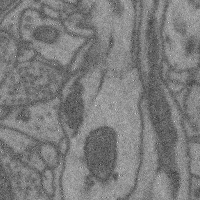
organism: Mouse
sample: Cerebral cortex